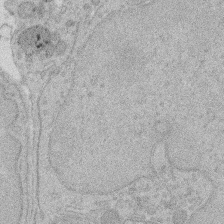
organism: Rat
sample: Salivary granule